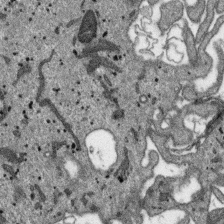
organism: Human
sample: Lung epithelial cells, uninfected (mock) control